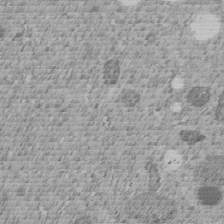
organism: C. elegans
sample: C. elegans embryo early stage